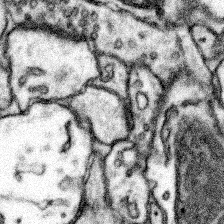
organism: Mouse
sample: Somatosensory cortex neuropil